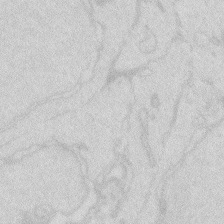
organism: Zebrafish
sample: Macrophage